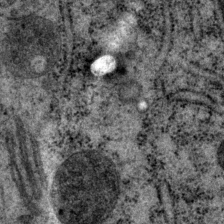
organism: P. pacificus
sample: Pharynx